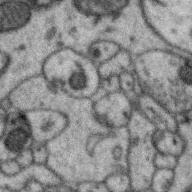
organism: Zebra finch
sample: Brain